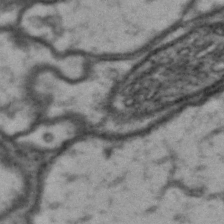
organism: Drosophila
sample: Brain